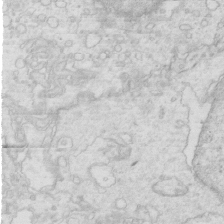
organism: Mouse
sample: Multiciliated cells